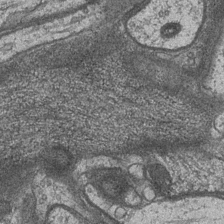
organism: Drosophila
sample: Optic medulla